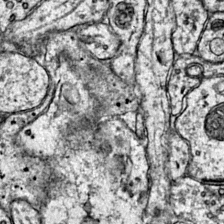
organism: Mouse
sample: Primary visual cortex